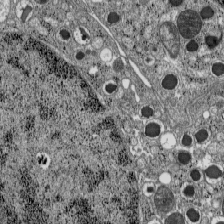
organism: C57BL Mouse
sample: Pancreatic islet